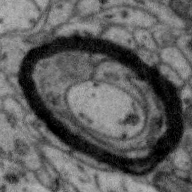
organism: Zebra finch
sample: Brain